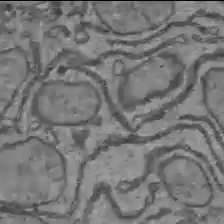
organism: C57BL Mouse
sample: Liver